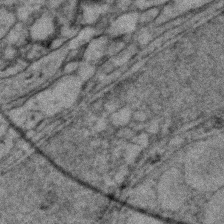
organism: Zebrafish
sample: Zebrafish embryo